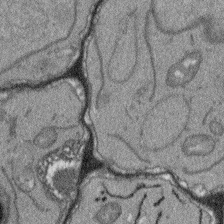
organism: Arabidopsis thaliana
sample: Root tip